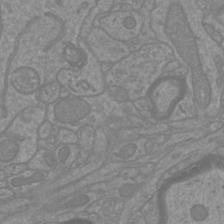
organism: Mouse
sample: Cortical neurons